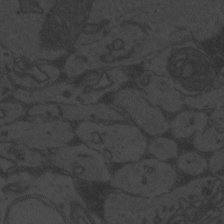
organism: Zebrafish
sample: Macrophage infected with Toxoplasma gondii